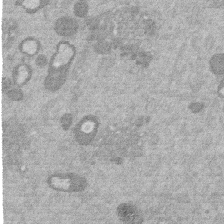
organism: Mouse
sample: Dividing mouse embryo 1 cell stage